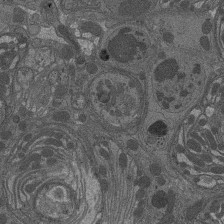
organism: Drosophila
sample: Antenna